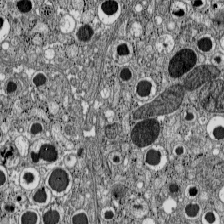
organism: C57BL Mouse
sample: Pancreatic islet